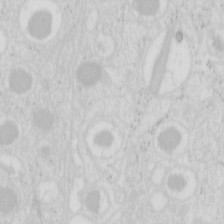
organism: Mouse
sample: Pancreas